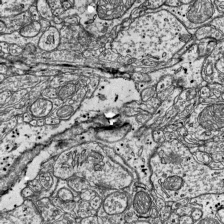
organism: Mouse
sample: Visual Cortex